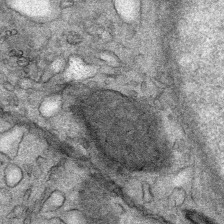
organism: Mouse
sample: Mouse Salivary gland